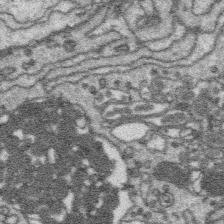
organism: Platynereis dumerilii